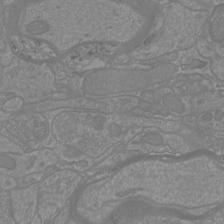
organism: Mouse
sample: Cortical neurons